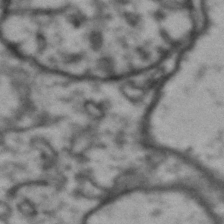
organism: Drosophila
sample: Brain